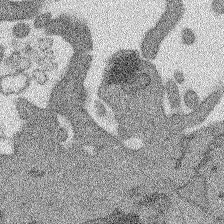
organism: Human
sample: HeLa cells